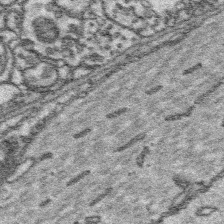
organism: Platynereis dumerilii